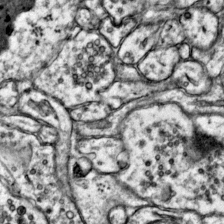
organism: Mouse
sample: Primary visual cortex